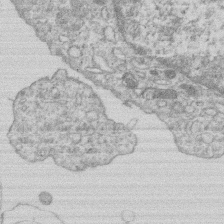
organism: Human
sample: Macrophage cells